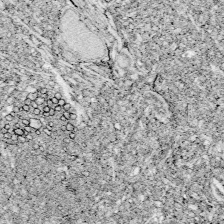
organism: Zebrafish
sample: Whole-Brain